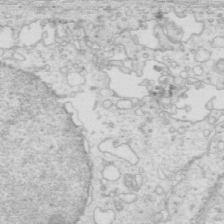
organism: Mouse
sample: Multiciliated cells